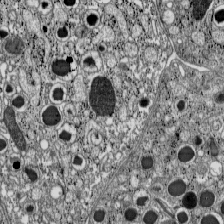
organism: C57BL Mouse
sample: Pancreatic islet